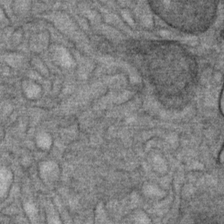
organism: Mouse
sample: Mouse Salivary gland